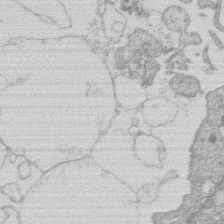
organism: Human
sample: Macrophage cells